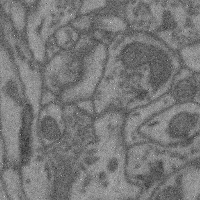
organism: Mouse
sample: Cerebral cortex